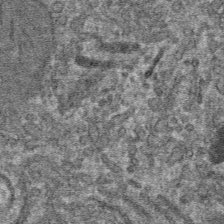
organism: Mouse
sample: Mouse hepatocytes